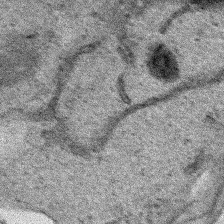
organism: Human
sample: Mitochondria in HCT116 cells